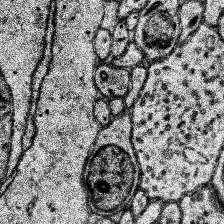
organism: Human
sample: Temporal Lobe